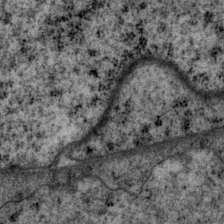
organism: P. pacificus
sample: Pharynx